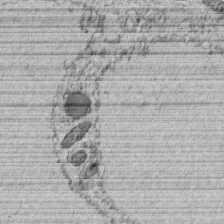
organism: C. elegans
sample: C. elegans embryo early stage